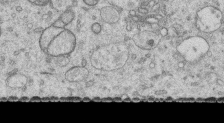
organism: Human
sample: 1205lu cells